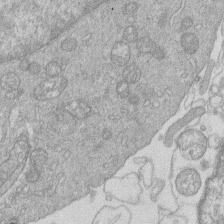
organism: Human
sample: Macrophage cells